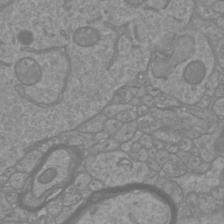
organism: Mouse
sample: Cortical neurons